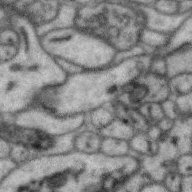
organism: Zebra finch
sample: Brain